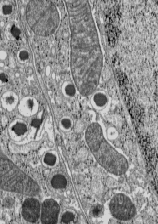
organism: C57BL Mouse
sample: Pancreatic islet